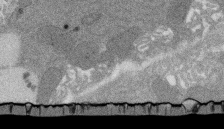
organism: Rat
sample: Salivary granule